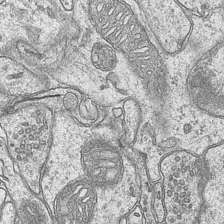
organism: Mouse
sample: CA1 Hippocampus